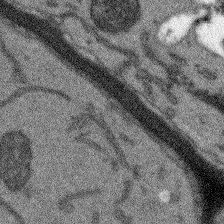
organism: Arabidopsis thaliana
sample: Root tip